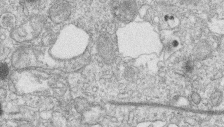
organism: Human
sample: HeLa cell HIV synapse